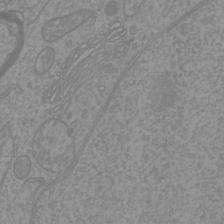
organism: Mouse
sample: Cortical neurons